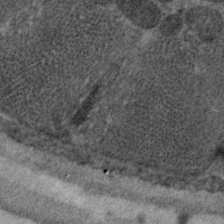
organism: C. elegans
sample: Pharynx